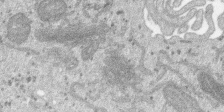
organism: Human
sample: Lung epithelial cells infected with SARS-CoV-2